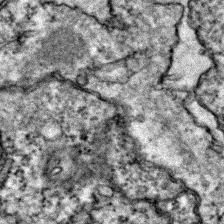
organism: Zebrafish